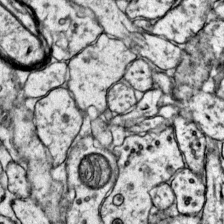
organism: Mouse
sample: Primary visual cortex